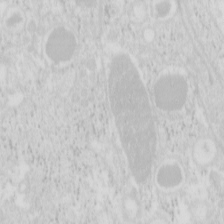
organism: Mouse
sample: Pancreas